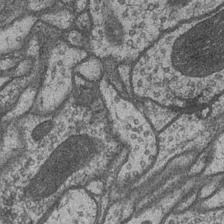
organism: Drosophila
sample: Optic medulla